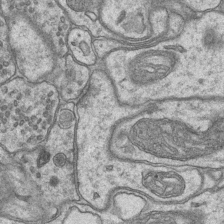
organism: Mouse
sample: CA1 Hippocampus